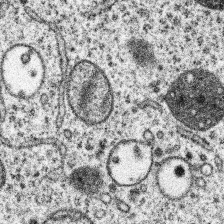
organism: Human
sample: HeLa cells